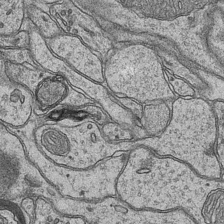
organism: Mouse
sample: CA1 Hippocampus